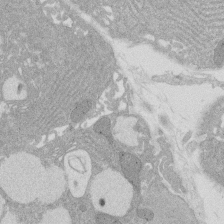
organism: Rat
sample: Salivary granule